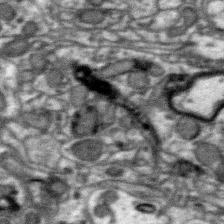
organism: Zebra finch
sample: Brain